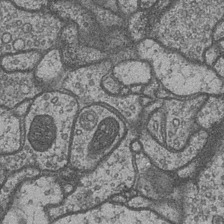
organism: Drosophila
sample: Optic medulla